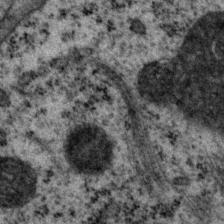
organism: P. pacificus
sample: Pharynx